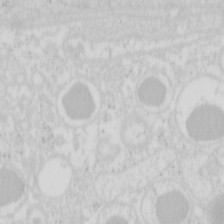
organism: Mouse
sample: Pancreas